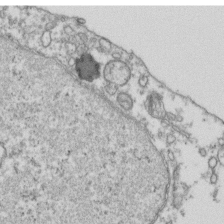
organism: Human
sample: Activated Jurkat CD4+ T cells